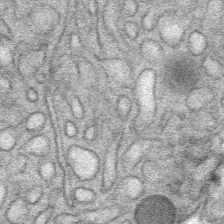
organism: Mouse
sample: Mouse Salivary gland